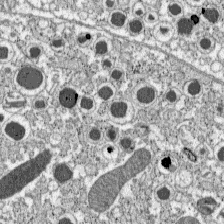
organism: C57BL Mouse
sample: Pancreatic islet